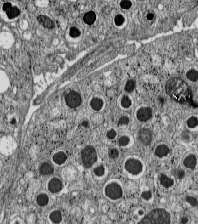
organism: C57BL Mouse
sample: Pancreatic islet